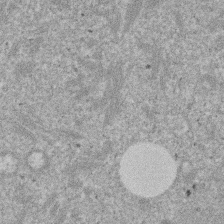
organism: Mouse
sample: Dividing mouse embryo 1 cell stage